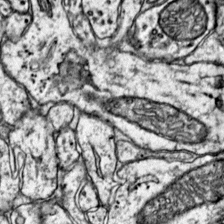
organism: Mouse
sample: Primary visual cortex